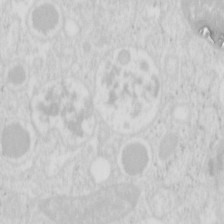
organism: Mouse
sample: Pancreas